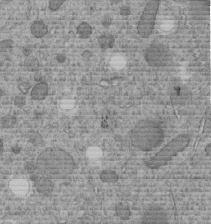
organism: C. elegans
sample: C. elegans embryo early stage